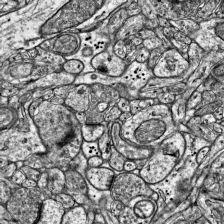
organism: Mouse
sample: Visual Cortex